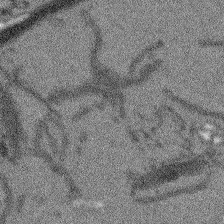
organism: Arabidopsis thaliana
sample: Root tip